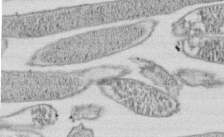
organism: E. coli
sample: Bacterial nucleoid